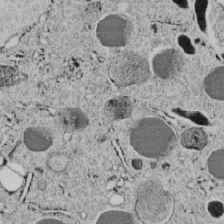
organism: C. elegans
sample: C. elegans embryo early stage